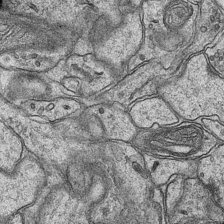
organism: Mouse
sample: CA1 Hippocampus